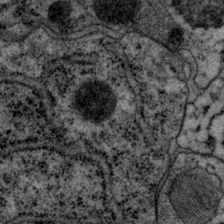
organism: P. pacificus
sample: Pharynx